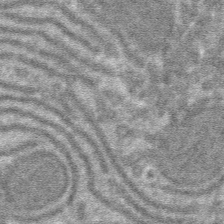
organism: Mouse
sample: Mouse hepatocytes